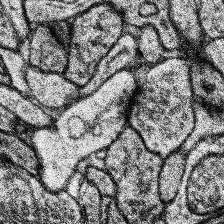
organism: Human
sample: Temporal Lobe